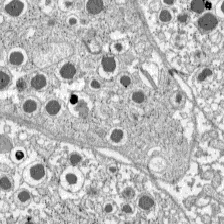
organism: C57BL Mouse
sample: Pancreatic islet